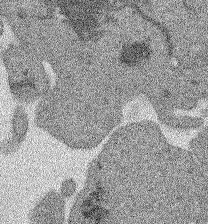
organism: Human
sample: HeLa cells